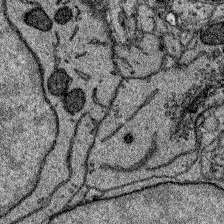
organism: Zebrafish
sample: Larval olfactory bulb